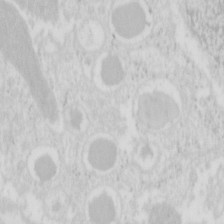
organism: Mouse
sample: Pancreas